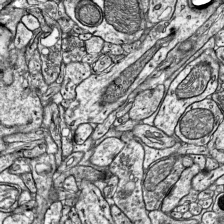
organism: Mouse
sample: Visual Cortex